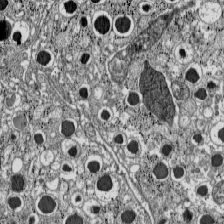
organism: C57BL Mouse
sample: Pancreatic islet